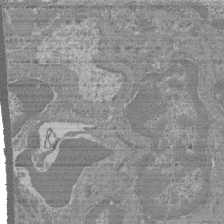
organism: Mouse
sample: Glomerulus